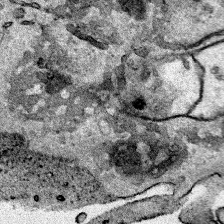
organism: Human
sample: Mitochondria in HCT116 cells